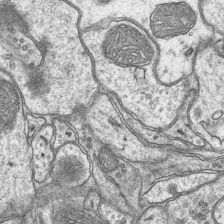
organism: Mouse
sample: CA1 Hippocampus